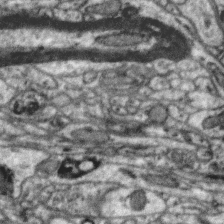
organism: Zebra finch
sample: Brain